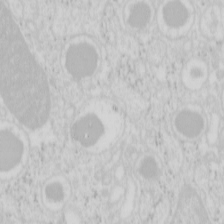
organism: Mouse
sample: Pancreas